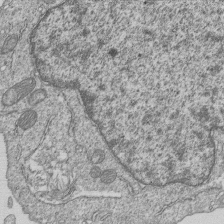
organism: Human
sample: MDA-MB-231 cells